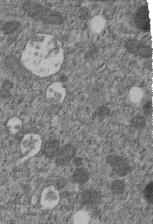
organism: C. elegans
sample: C. elegans embryo early stage